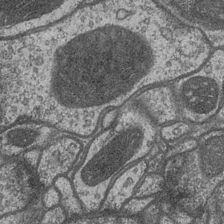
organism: Drosophila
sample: Optic medulla